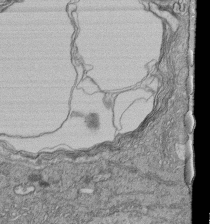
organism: Human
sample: Retinal organoid Rod and Cone cells